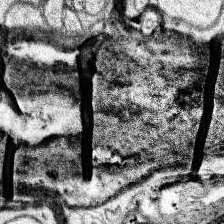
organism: Human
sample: Temporal Lobe